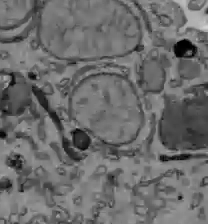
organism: C57BL Mouse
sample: Liver